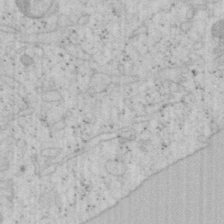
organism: Human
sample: HeLa cells